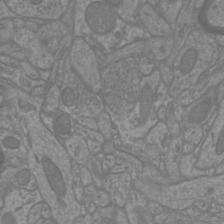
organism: Mouse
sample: Cortical neurons